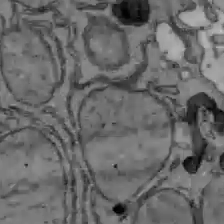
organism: C57BL Mouse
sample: Liver